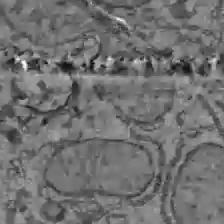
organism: C57BL Mouse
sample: Liver